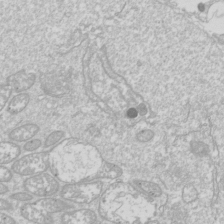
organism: Drosophila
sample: Cell division; meiosis; drosophila spermatocytes